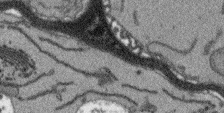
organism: Arabidopsis thaliana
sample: Root tip